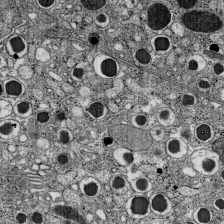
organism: C57BL Mouse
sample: Pancreatic islet